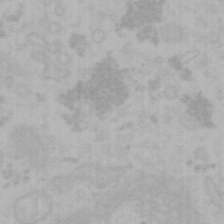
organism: Mouse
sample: Choroid plexus